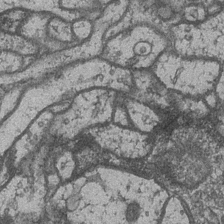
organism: Drosophila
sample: Optic medulla